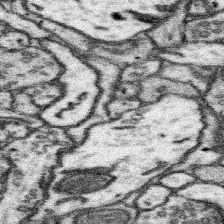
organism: Mouse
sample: Somatosensory cortex neuropil